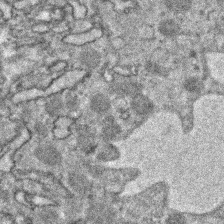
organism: Zebrafish